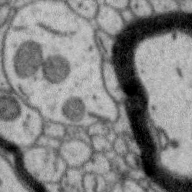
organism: Zebra finch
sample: Brain